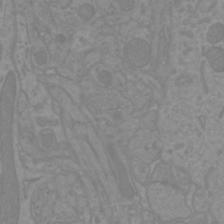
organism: Mouse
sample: Cortical neurons